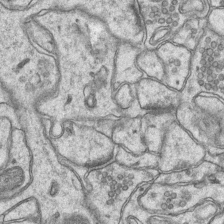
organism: Mouse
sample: CA1 Hippocampus